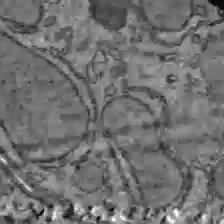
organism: C57BL Mouse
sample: Liver